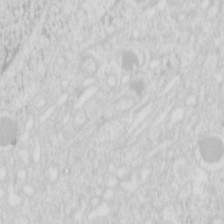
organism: Mouse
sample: Pancreas